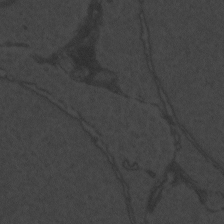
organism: Zebrafish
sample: Macrophage infected with Toxoplasma gondii